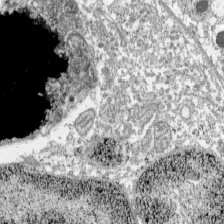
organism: C57BL Mouse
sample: Pancreatic islet